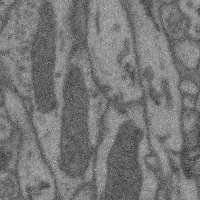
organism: Mouse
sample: Cerebral cortex